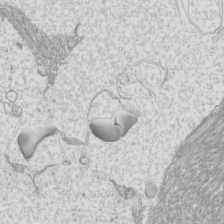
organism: Mouse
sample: Cilia; mouse epididymis